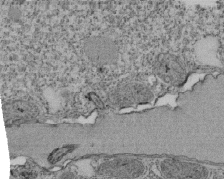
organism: Tetrahymena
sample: Cilia in tetrahymena